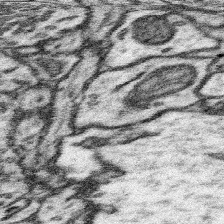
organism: Mouse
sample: Somatosensory cortex neuropil